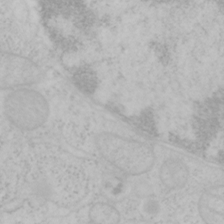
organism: Mouse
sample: OT-I killer T cells with ID8 ovarian cancer cells